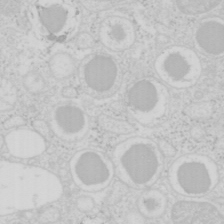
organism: Mouse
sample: Pancreas